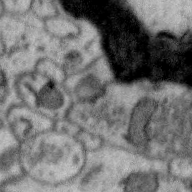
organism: Zebra finch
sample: Brain